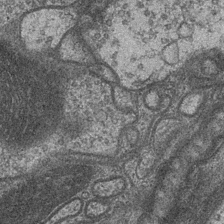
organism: Drosophila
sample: Optic medulla